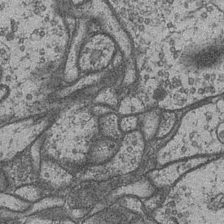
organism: Drosophila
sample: Optic medulla